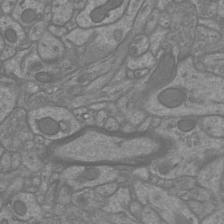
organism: Mouse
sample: Cortical neurons